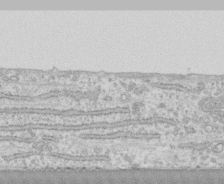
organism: Human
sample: CRL-1474